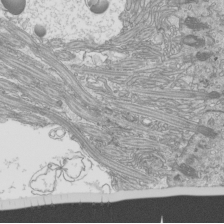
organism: Mouse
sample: Cilia; mouse epididymis